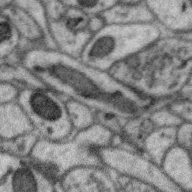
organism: Zebra finch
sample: Brain